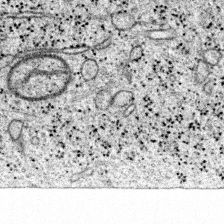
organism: Human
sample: HeLa cells